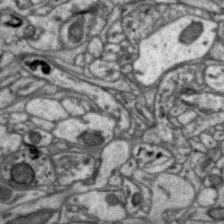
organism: Zebra finch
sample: Brain